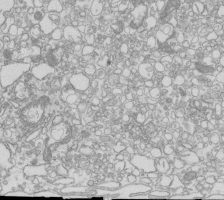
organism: Mouse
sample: Macrophages